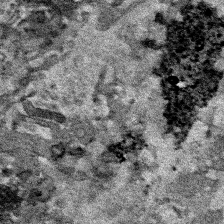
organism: Human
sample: Mitochondria in HCT116 cells